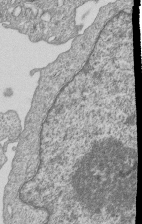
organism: Human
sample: MDA-MB-231 cells